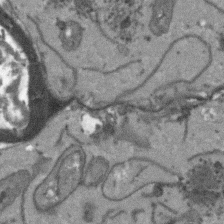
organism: Arabidopsis thaliana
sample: Root tip